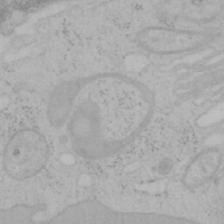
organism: Mouse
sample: OT-I killer T cells with ID8 ovarian cancer cells